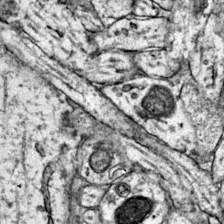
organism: Mouse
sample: Primary visual cortex